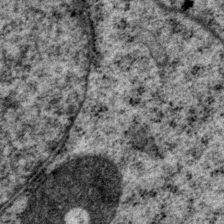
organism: P. pacificus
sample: Pharynx